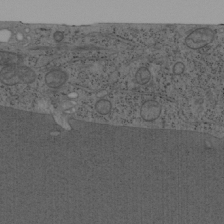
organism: Human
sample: HeLa cells